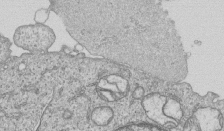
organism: Human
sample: MDA-MB-231 cells